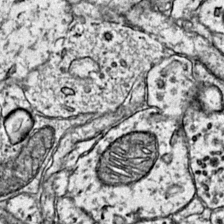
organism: Mouse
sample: Primary visual cortex